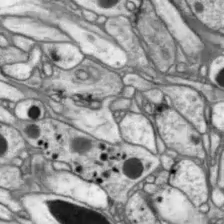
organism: Drosophila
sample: Optic lobe